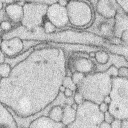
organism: Rabbit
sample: Retina